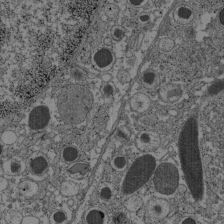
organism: C57BL Mouse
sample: Pancreatic islet